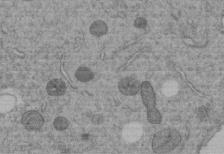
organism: C. elegans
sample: C. elegans embryo early stage